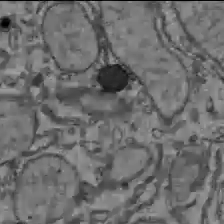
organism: C57BL Mouse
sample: Liver